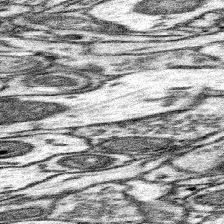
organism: Mouse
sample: Somatosensory cortex neuropil